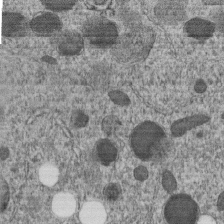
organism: C. elegans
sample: C. elegans embryo early stage